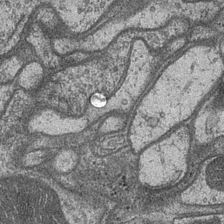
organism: Drosophila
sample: Optic medulla